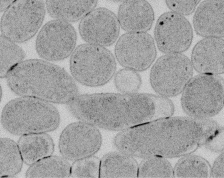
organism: E. coli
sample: Bacterial nucleoid